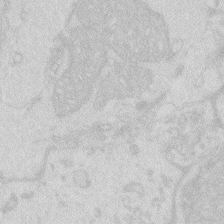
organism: Zebrafish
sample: Macrophage